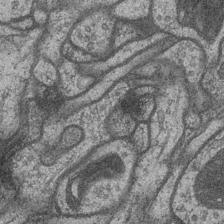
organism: Drosophila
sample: Optic medulla